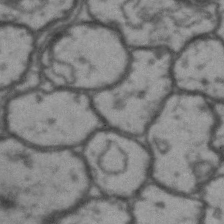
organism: Drosophila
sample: Brain